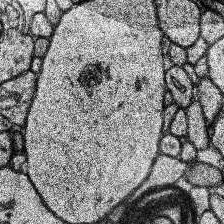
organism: Human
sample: Temporal Lobe